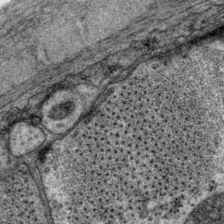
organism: P. pacificus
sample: Pharynx